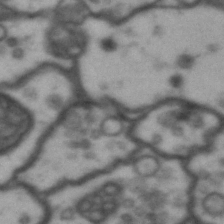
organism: Drosophila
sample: Brain